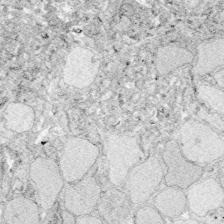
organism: Zebrafish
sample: Whole-Brain